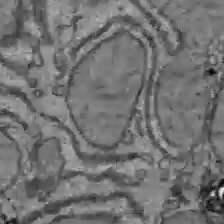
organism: C57BL Mouse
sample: Liver